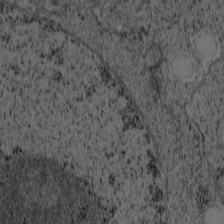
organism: African green monkey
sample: COS-7 cells